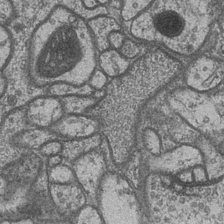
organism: Drosophila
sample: Optic medulla